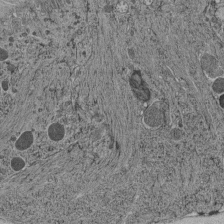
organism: C. elegans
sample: C. elegans pharynx